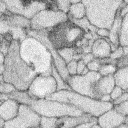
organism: Rabbit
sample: Retina